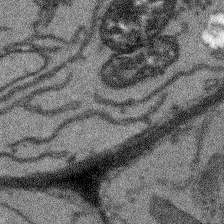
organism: Arabidopsis thaliana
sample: Root tip